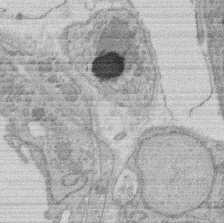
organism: Rat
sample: Salivary granule